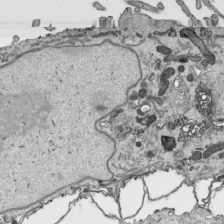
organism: Human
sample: Mitochondria in HCT116 cells